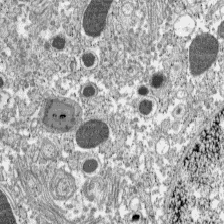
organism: C57BL Mouse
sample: Pancreatic islet